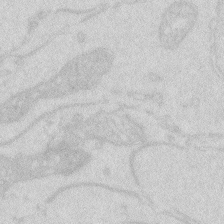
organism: Zebrafish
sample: Macrophage